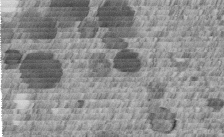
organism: C. elegans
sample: C. elegans embryo early stage